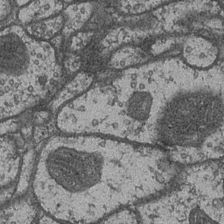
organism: Drosophila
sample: Optic medulla